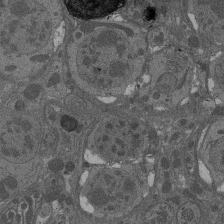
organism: Drosophila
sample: Antenna